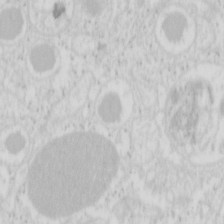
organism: Mouse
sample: Pancreas